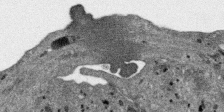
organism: Human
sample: Lung epithelial cells, uninfected (mock) control